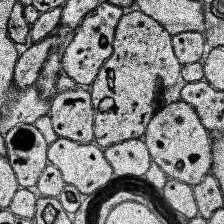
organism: Human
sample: Temporal Lobe